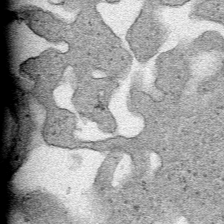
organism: Human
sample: Mitochondria in HCT116 cells